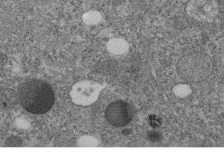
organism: C. elegans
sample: C. elegans embryo early stage